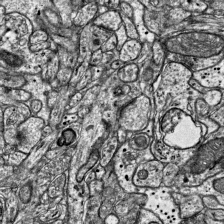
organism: Mouse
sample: Visual Cortex